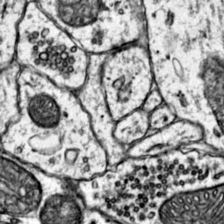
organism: Mouse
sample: Primary visual cortex